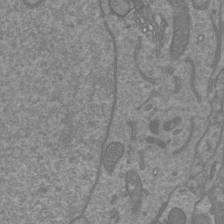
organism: Mouse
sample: Cortical neurons